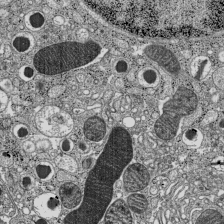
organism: C57BL Mouse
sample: Pancreatic islet